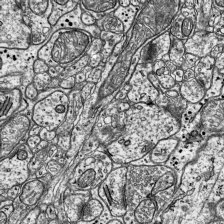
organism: Mouse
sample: Visual Cortex